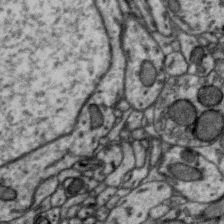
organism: Zebra finch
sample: Brain